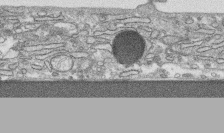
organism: Human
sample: CRL-1474